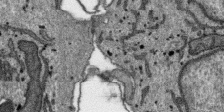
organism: Human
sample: Lung epithelial cells, uninfected (mock) control